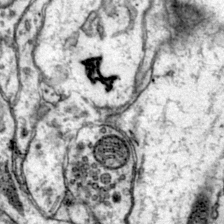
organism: Mouse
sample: Primary visual cortex